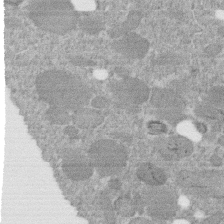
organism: C. elegans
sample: C. elegans embryo early stage